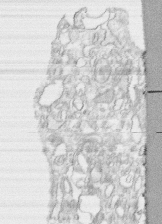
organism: Human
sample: CRL-1474